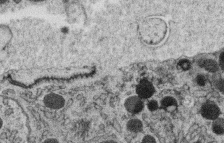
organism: C. elegans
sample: C. elegans oocyte; sperm cells